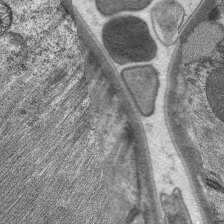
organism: C. elegans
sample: Pharynx